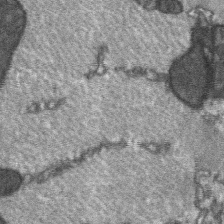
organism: C57BL Mouse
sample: Soleus